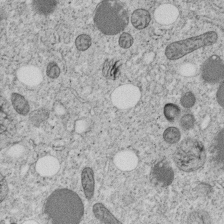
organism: C. elegans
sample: C. elegans embryo early stage